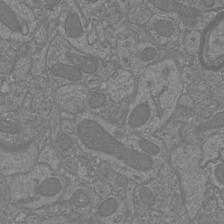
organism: Mouse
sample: Cortical neurons